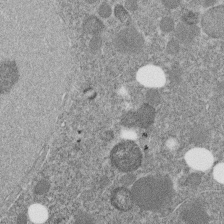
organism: C. elegans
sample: C. elegans embryo early stage